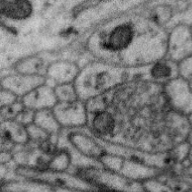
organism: Zebra finch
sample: Brain